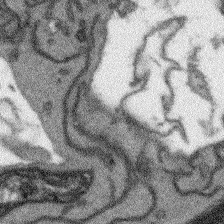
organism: Arabidopsis thaliana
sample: Root tip